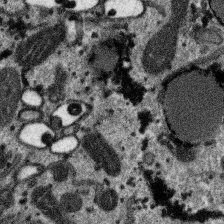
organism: Human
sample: Lung epithelial cells infected with SARS-CoV-2